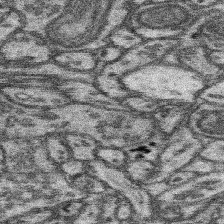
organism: Mouse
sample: Somatosensory cortex neuropil